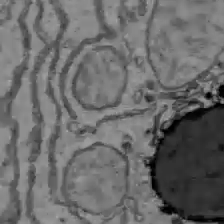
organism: C57BL Mouse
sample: Liver